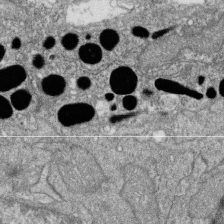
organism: Zebrafish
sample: Cilia; retinal pigment epithelium